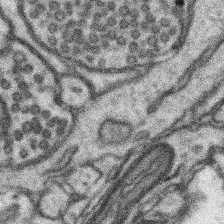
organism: Mouse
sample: Somatosensory cortex neuropil